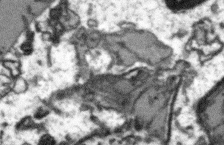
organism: Arabidopsis thaliana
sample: Root tip